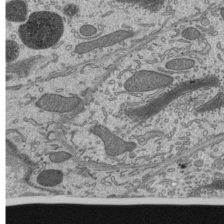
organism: Mouse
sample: Mouse epididymis efferent ductule cilia